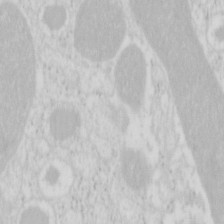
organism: Mouse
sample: Pancreas